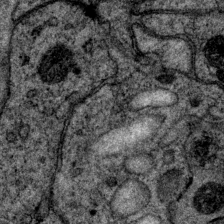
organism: P. pacificus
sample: Pharynx